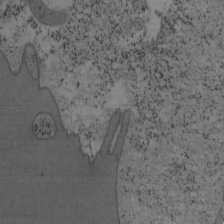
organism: Mouse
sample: OT-I killer T cells with ID8 ovarian cancer cells